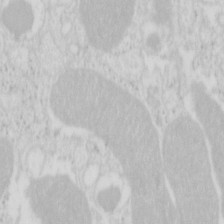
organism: Mouse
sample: Pancreas